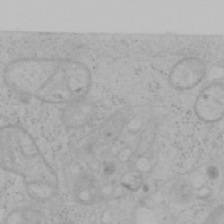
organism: Mouse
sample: OT-I killer T cells with ID8 ovarian cancer cells